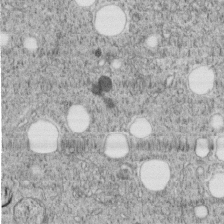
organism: C. elegans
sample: C. elegans embryo early stage